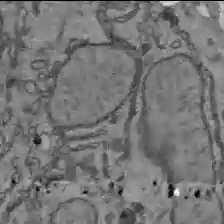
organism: C57BL Mouse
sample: Liver